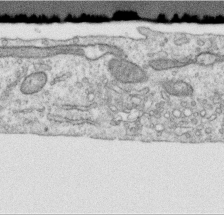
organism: Human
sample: Centriole in RPE cells